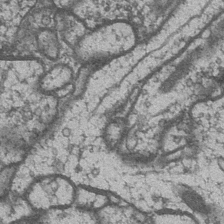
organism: Drosophila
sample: Optic medulla